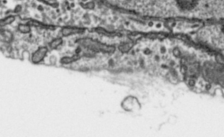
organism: Toxoplasma gondii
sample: Parasites in a vacuole inside a host cell